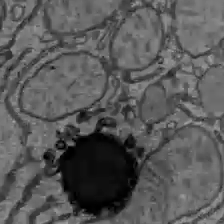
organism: C57BL Mouse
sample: Liver